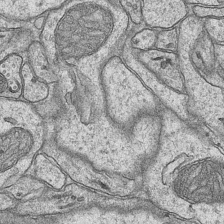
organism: Mouse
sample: CA1 Hippocampus